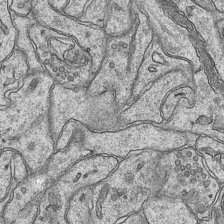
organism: Mouse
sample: CA1 Hippocampus